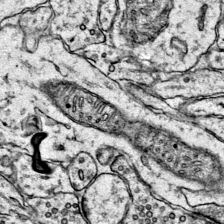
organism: Mouse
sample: Primary visual cortex